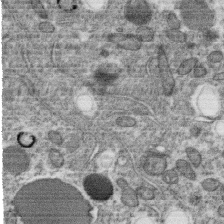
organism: C. elegans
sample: C. elegans oocyte; sperm cells